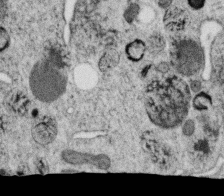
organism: C. elegans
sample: C. elegans oocyte; sperm cells